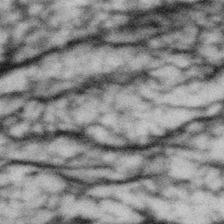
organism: Gemmata obscuriglobus